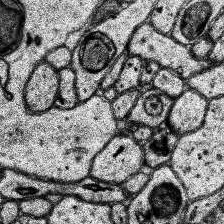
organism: Human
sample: Temporal Lobe